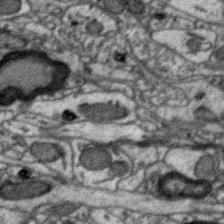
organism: Zebra finch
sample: Brain